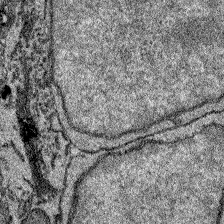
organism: Zebrafish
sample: Larval olfactory bulb